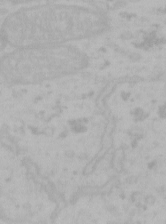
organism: Mouse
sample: Choroid plexus